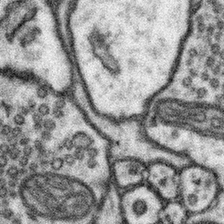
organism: Mouse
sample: Somatosensory cortex neuropil